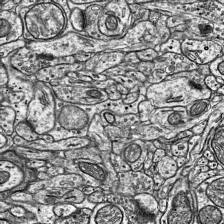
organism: Mouse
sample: Visual Cortex